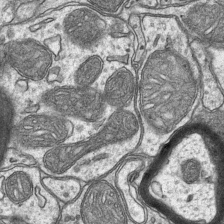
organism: Mouse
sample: CA1 Hippocampus